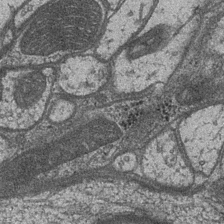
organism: Drosophila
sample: Optic medulla